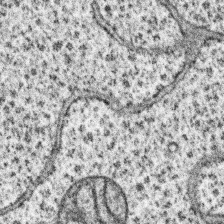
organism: Human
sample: HeLa cells